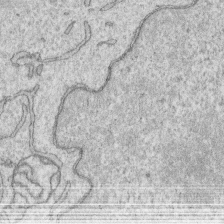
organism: Human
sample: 1205lu cells